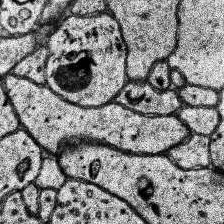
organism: Human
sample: Temporal Lobe